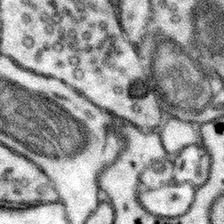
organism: Mouse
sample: Somatosensory cortex neuropil